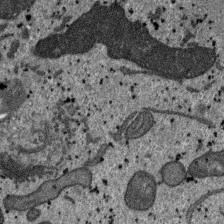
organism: Human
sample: Lung epithelial cells, uninfected (mock) control